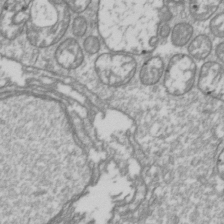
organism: Drosophila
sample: Cell division; meiosis; drosophila spermatocytes